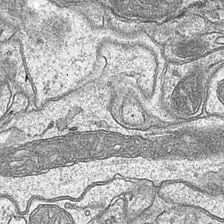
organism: Mouse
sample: CA1 Hippocampus